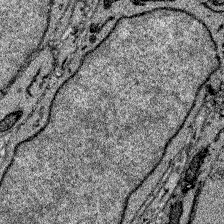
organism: Zebrafish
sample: Larval olfactory bulb